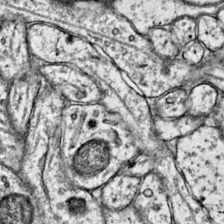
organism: Mouse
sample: Primary visual cortex